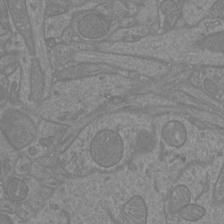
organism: Mouse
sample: Cortical neurons